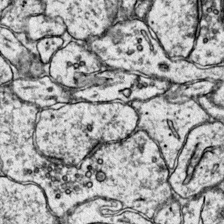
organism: Mouse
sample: Primary visual cortex